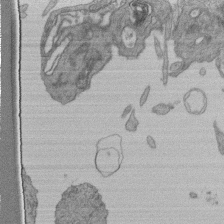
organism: Human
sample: Retinal organoid Rod and Cone cells